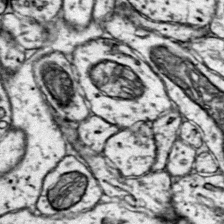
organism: Mouse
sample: Primary visual cortex